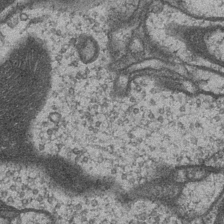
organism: Drosophila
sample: Optic medulla